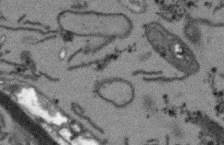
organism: Arabidopsis thaliana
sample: Root tip